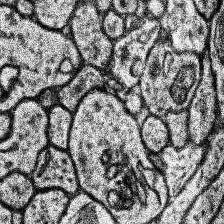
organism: Human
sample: Temporal Lobe